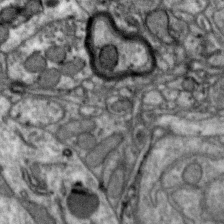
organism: Zebra finch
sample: Brain